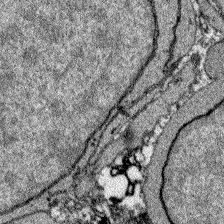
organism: Zebrafish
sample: Larval olfactory bulb